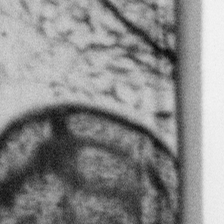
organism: Gemmata obscuriglobus